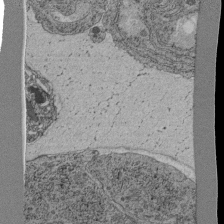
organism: C. elegans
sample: C. elegans pharynx